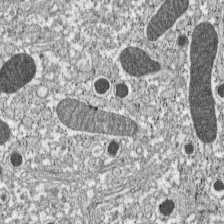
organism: C57BL Mouse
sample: Pancreatic islet